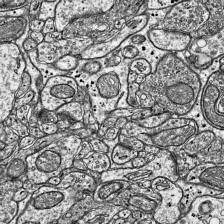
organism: Mouse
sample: Visual Cortex